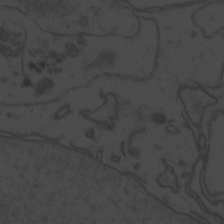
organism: Zebrafish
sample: Macrophage infected with Toxoplasma gondii